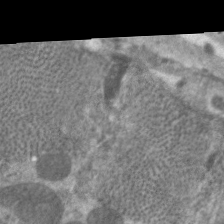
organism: C. elegans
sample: Pharynx